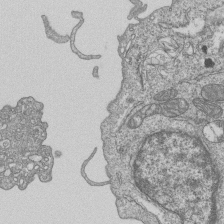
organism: Human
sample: MDA-MB-231 cells